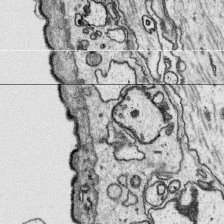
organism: Platynereis dumerilii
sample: Parapodia